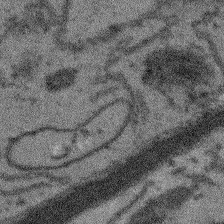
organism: Arabidopsis thaliana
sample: Root tip